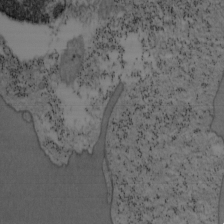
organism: Mouse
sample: OT-I killer T cells with ID8 ovarian cancer cells